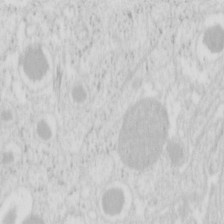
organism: Mouse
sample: Pancreas